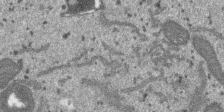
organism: Human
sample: Lung epithelial cells infected with SARS-CoV-2